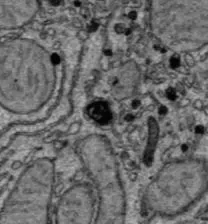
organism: C57BL Mouse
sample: Liver